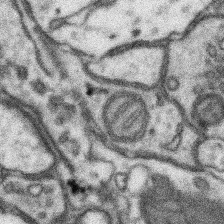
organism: Mouse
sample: Somatosensory cortex neuropil